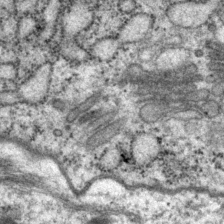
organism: P. pacificus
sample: Pharynx